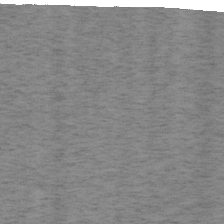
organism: Mouse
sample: OT-I killer T cells with ID8 ovarian cancer cells